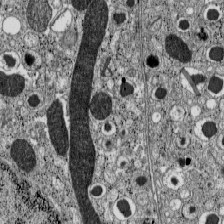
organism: C57BL Mouse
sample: Pancreatic islet